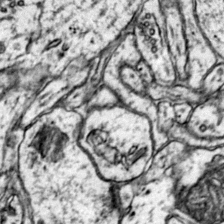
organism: Mouse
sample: Primary visual cortex